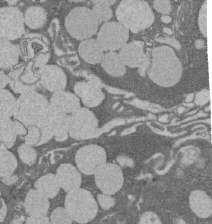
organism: Rat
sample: Salivary granule